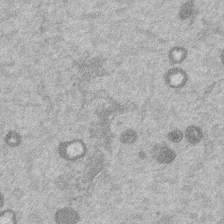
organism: Mouse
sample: Dividing mouse embryo 1 cell stage